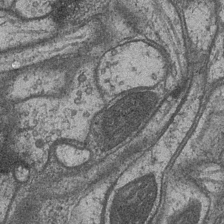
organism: Drosophila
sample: Optic medulla